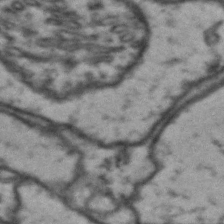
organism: Drosophila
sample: Brain